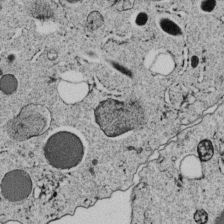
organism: C. elegans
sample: C. elegans embryo early stage